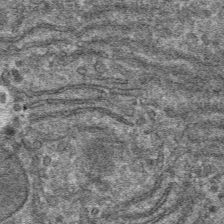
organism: Mouse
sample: Mouse hepatocytes